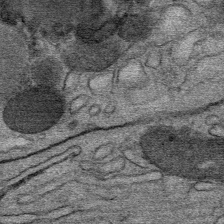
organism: Mouse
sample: Mouse Salivary gland